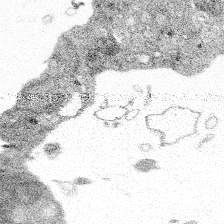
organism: Spongilla lacustris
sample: Multiple